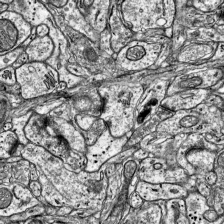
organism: Mouse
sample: Visual Cortex